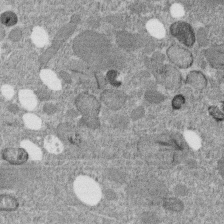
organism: C. elegans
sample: C. elegans embryo early stage